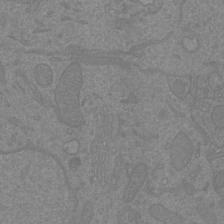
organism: Mouse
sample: Cortical neurons